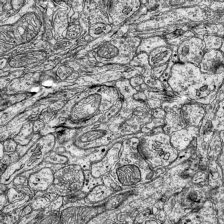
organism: Mouse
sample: Visual Cortex